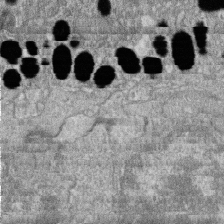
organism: Zebrafish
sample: Cilia; retinal pigment epithelium